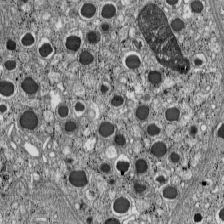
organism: C57BL Mouse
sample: Pancreatic islet